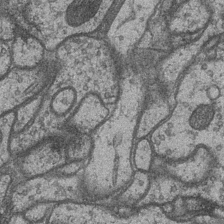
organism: Drosophila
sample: Optic medulla